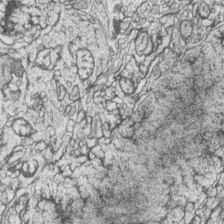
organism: Zebrafish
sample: synaptic ribbons in rod cells and cone cells